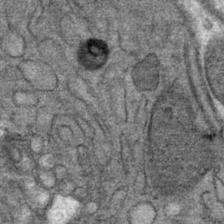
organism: Mouse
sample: Mouse Salivary gland